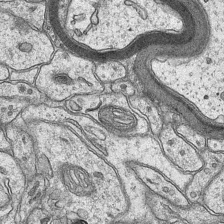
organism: Mouse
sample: CA1 Hippocampus